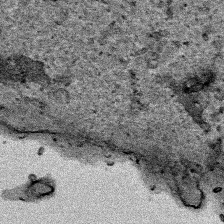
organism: Human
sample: Mitochondria in HCT116 cells